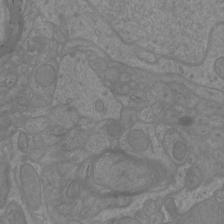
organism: Mouse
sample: Cortical neurons